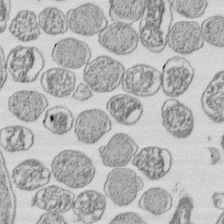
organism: E. coli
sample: Bacterial nucleoid